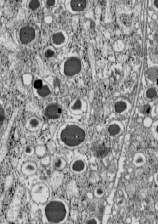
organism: C57BL Mouse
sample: Pancreatic islet